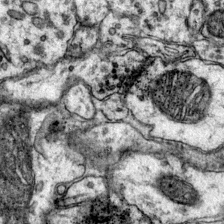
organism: Mouse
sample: Primary visual cortex